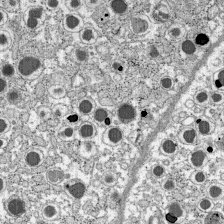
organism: C57BL Mouse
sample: Pancreatic islet